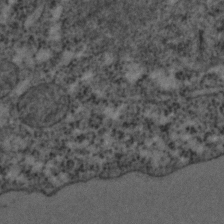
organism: C. elegans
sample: C. elegans embryo